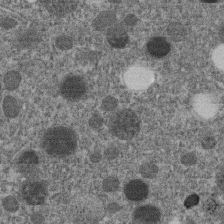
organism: C. elegans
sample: C. elegans embryo early stage